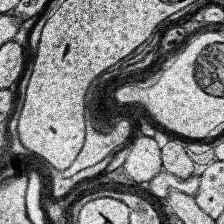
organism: Human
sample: Temporal Lobe